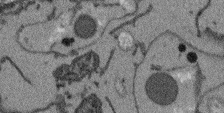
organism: Arabidopsis thaliana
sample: Root tip